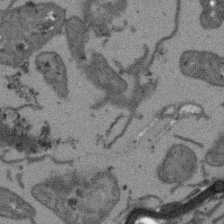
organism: Arabidopsis thaliana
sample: Root tip